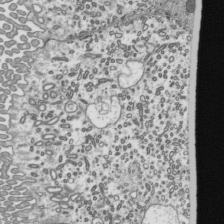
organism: Mouse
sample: Mouse epididymis efferent ductule cilia